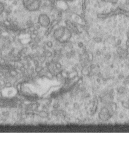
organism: Human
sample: Centriole in RPE cells